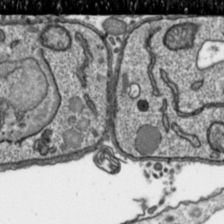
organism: Toxoplasma gondii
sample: Parasites in a vacuole inside a host cell